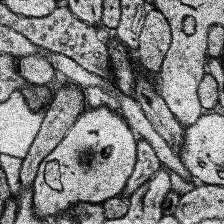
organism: Human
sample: Temporal Lobe